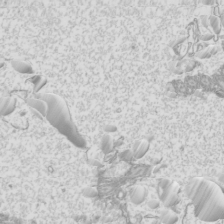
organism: Mouse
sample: Cilia; mouse epididymis